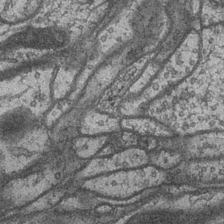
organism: Drosophila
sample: Optic medulla